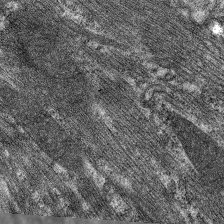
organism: C. elegans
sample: Pharynx